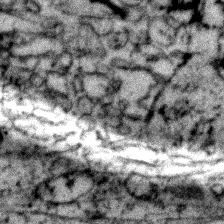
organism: Zebrafish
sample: Zebrafish embryo